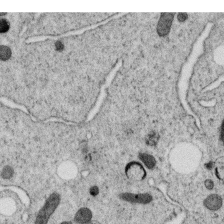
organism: C. elegans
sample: C. elegans oocyte; sperm cells